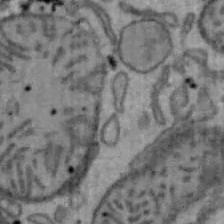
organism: Mouse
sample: Liver